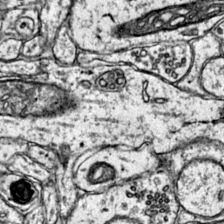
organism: Mouse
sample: Primary visual cortex